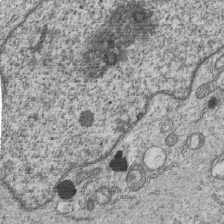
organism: Human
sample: MDA-MB-231 cells